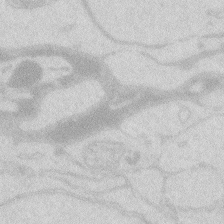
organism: Zebrafish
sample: Macrophage